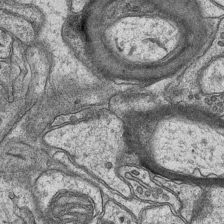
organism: Mouse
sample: CA1 Hippocampus